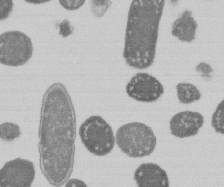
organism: E. coli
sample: Bacterial nucleoid